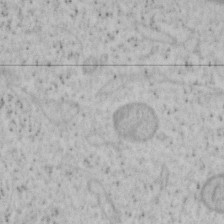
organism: Human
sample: HeLa cells